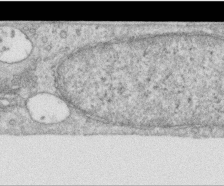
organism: Human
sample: Centriole in RPE cells